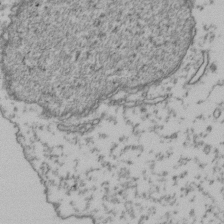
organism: Human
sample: Activated Jurkat CD4+ T cells